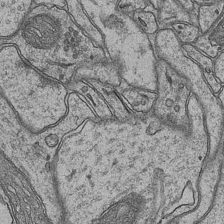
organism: Mouse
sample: CA1 Hippocampus